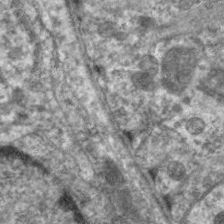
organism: C. elegans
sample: Pharynx